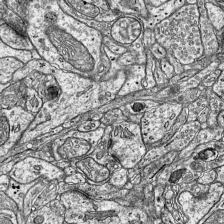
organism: Mouse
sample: Visual Cortex